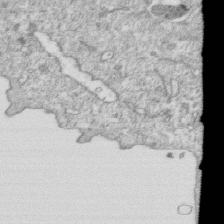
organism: Mouse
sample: Activated OT-1 CD8+ T cells